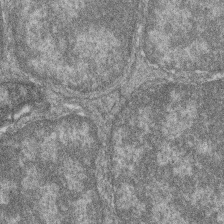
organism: Zebrafish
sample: Cilia; retinal pigment epithelium